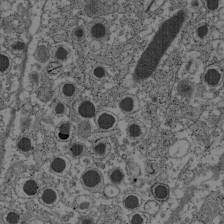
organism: C57BL Mouse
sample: Pancreatic islet